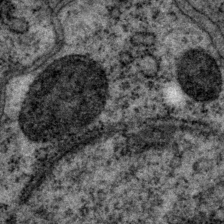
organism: P. pacificus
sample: Pharynx